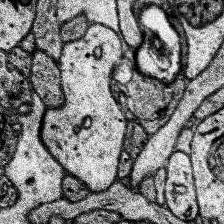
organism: Human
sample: Temporal Lobe